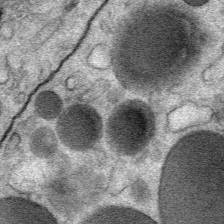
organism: Mouse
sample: Mouse Salivary gland